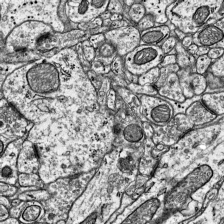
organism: Mouse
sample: Visual Cortex